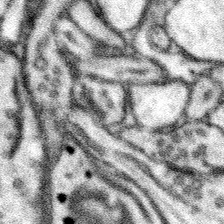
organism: Mouse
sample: Somatosensory cortex neuropil